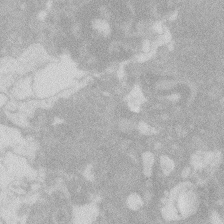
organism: Zebrafish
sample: Macrophage